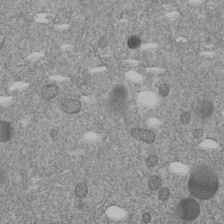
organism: C. elegans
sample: C. elegans embryo early stage